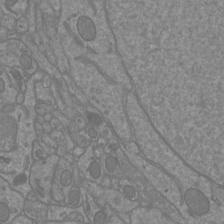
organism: Mouse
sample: Cortical neurons